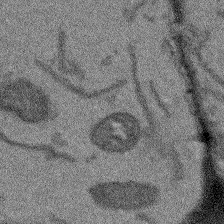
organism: Arabidopsis thaliana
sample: Root tip